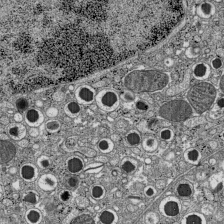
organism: C57BL Mouse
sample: Pancreatic islet